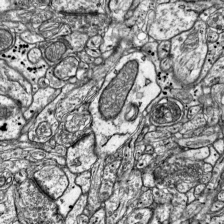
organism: Mouse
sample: Visual Cortex